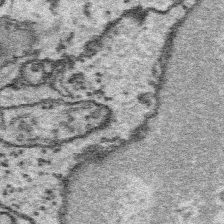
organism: Platynereis dumerilii